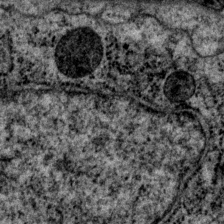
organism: P. pacificus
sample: Pharynx